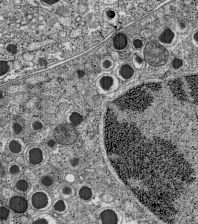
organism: C57BL Mouse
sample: Pancreatic islet